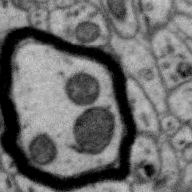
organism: Zebra finch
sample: Brain